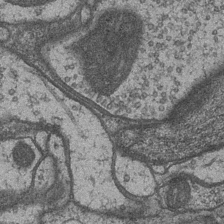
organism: Drosophila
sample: Optic medulla